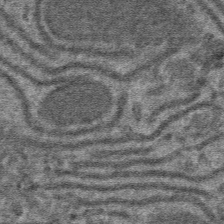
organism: Mouse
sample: Mouse hepatocytes